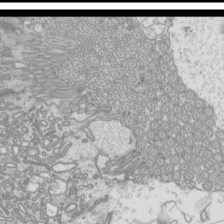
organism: Mouse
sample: Cilia; mouse epididymis